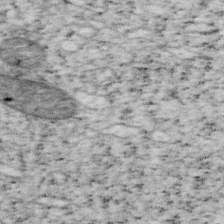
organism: Mouse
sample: OT-I killer T cells with ID8 ovarian cancer cells